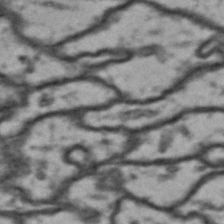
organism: Drosophila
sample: Brain